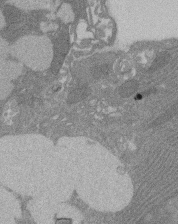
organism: Rat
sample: Salivary granule